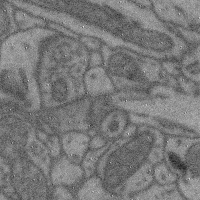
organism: Mouse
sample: Cerebral cortex